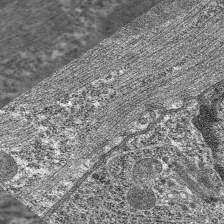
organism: C. elegans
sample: Pharynx